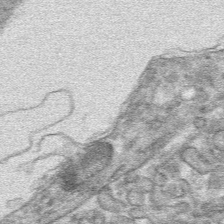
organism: Mouse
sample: Mouse hepatocytes